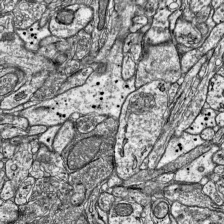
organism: Mouse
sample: Visual Cortex